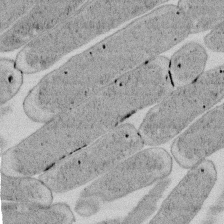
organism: E. coli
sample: Bacterial nucleoid